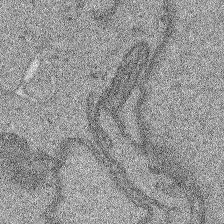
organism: Human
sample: HeLa cells